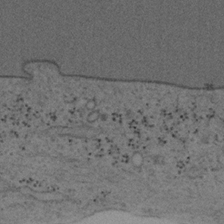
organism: Human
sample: HeLa cells